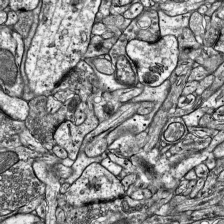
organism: Mouse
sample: Visual Cortex